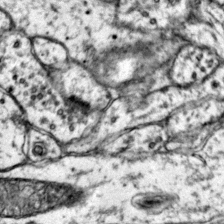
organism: Mouse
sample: Primary visual cortex